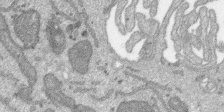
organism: Human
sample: Lung epithelial cells infected with SARS-CoV-2